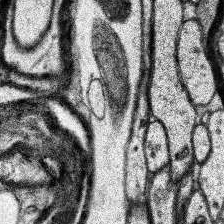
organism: Human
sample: Temporal Lobe